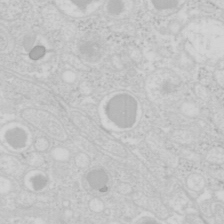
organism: Mouse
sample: Pancreas